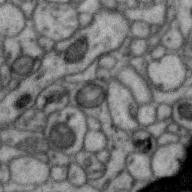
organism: Zebra finch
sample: Brain